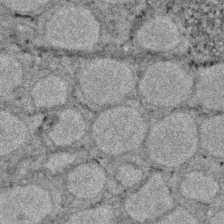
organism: Zebrafish